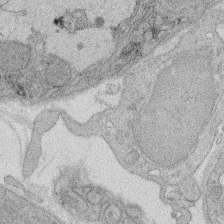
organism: Rat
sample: Salivary granule